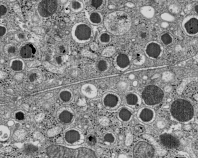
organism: C57BL Mouse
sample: Pancreatic islet